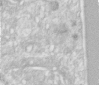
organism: Human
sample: Centriole in RPE cells